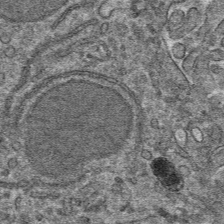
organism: Mouse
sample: Mouse hepatocytes